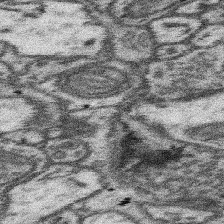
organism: Mouse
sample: Somatosensory cortex neuropil